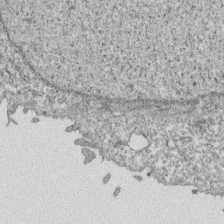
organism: Human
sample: HeLa cell HIV synapse